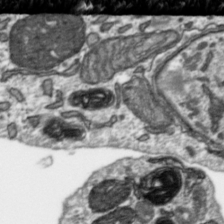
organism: Toxoplasma gondii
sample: Parasites in a vacuole inside a host cell